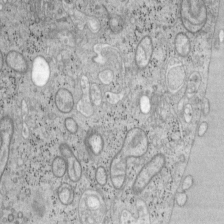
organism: Mouse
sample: OT-I killer T cells with ID8 ovarian cancer cells